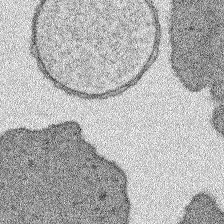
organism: Human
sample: HeLa cells